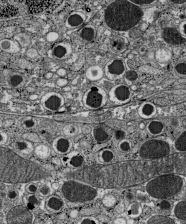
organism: C57BL Mouse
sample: Pancreatic islet